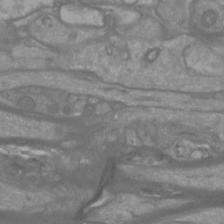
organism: Mouse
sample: Cortical neurons